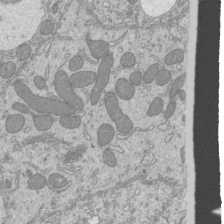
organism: Mouse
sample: Cilia; mouse epididymis